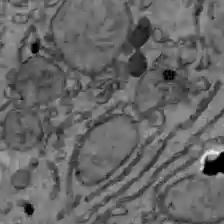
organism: C57BL Mouse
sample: Liver